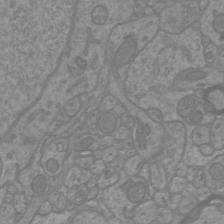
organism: Mouse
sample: Cortical neurons